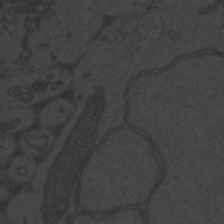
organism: Zebrafish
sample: Macrophage infected with Toxoplasma gondii